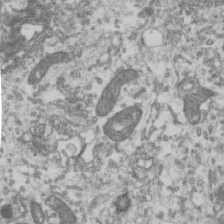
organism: Human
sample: Centriole in RPE cells